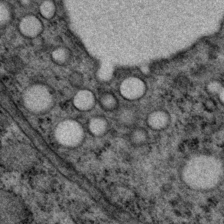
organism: P. pacificus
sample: Pharynx